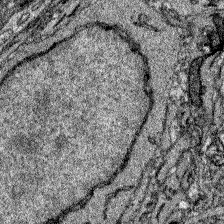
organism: Zebrafish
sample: Larval olfactory bulb